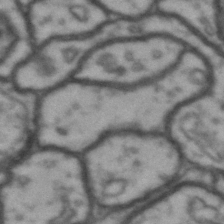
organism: Drosophila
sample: Brain